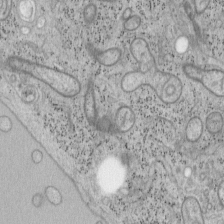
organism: Mouse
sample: OT-I killer T cells with ID8 ovarian cancer cells